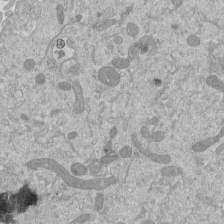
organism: Mouse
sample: ED-1 cell nuclei; centrioles